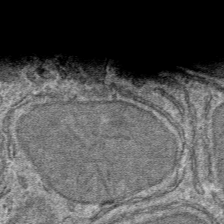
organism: Mouse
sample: Mouse hepatocytes